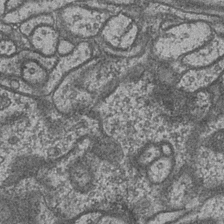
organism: Drosophila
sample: Optic medulla